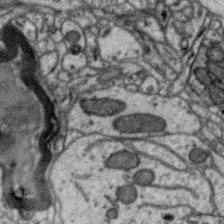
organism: Zebra finch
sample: Brain